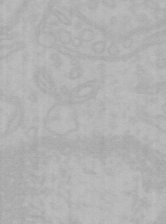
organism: Mouse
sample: Choroid plexus